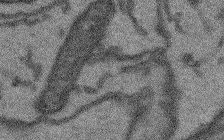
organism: Arabidopsis thaliana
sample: Root tip